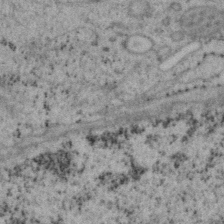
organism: Human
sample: HeLa cells